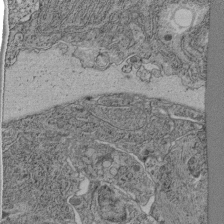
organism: C. elegans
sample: C. elegans pharynx